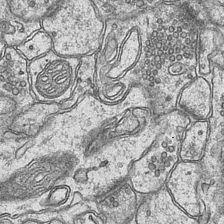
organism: Mouse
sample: CA1 Hippocampus